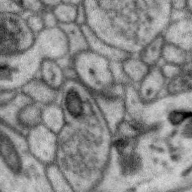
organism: Zebra finch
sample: Brain